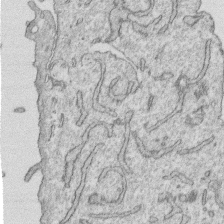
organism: Human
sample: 1205lu cells